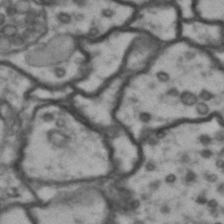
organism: Drosophila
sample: Brain